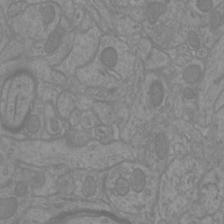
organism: Mouse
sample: Cortical neurons